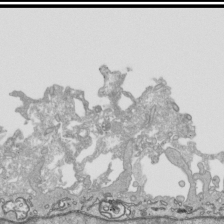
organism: Human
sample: Mitochondria in HCT116 cells